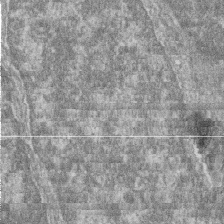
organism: Zebrafish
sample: Cilia; retinal pigment epithelium